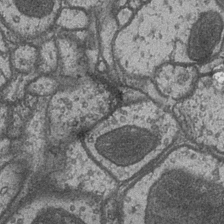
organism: Drosophila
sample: Optic medulla